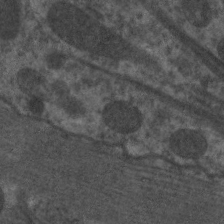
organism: C. elegans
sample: Pharynx